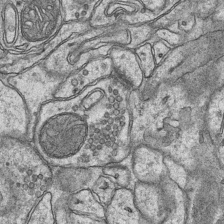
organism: Mouse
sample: CA1 Hippocampus